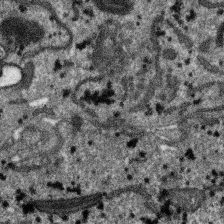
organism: Human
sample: Lung epithelial cells infected with SARS-CoV-2